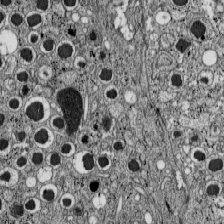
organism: C57BL Mouse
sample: Pancreatic islet